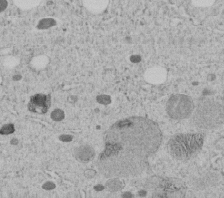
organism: C. elegans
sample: C. elegans embryo early stage